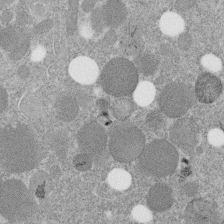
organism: C. elegans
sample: C. elegans embryo early stage